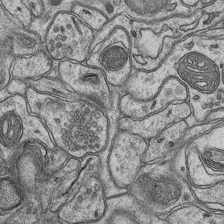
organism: Mouse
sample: CA1 Hippocampus